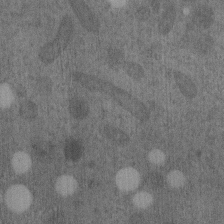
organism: C. elegans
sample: C. elegans embryo early stage